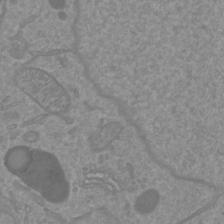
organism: Mouse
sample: Cortical neurons